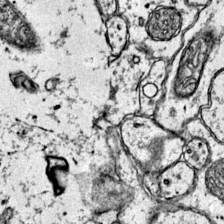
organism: Mouse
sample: Primary visual cortex